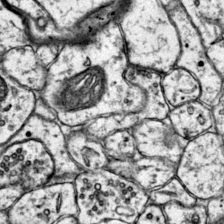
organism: Mouse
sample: Primary visual cortex